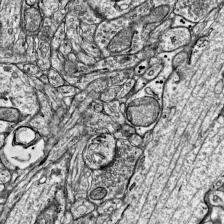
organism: Mouse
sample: Visual Cortex